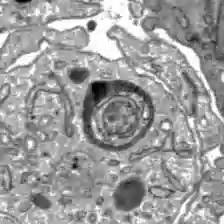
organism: C57BL Mouse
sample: Liver